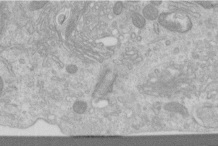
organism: Human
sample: Centriole in RPE cells